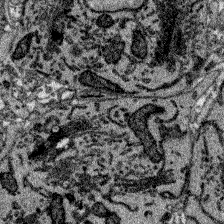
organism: Zebrafish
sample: Larval olfactory bulb